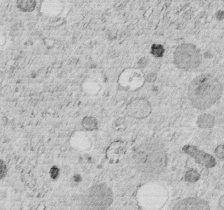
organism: C. elegans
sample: C. elegans embryo early stage